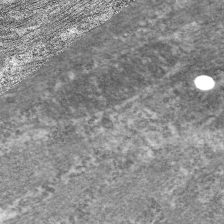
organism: C. elegans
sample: Pharynx